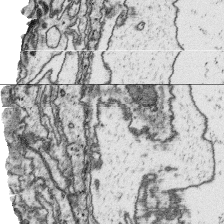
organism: Platynereis dumerilii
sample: Parapodia